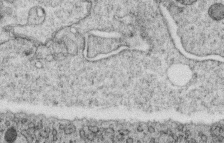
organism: C. elegans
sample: C. elegans oocyte; sperm cells